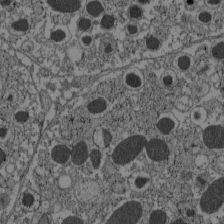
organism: C57BL Mouse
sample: Pancreatic islet